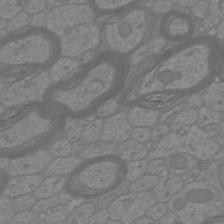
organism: Mouse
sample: Cortical neurons